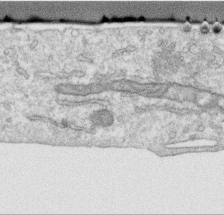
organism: Human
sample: Centriole in RPE cells